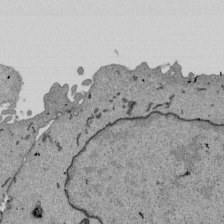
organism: Mouse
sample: ED-1 cell nuclei; centrioles